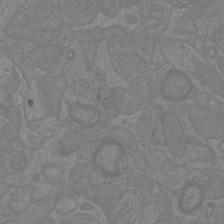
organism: Mouse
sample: Cortical neurons